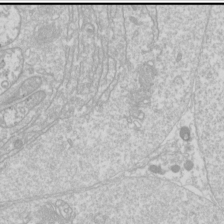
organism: Drosophila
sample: Cell division; meiosis; drosophila spermatocytes